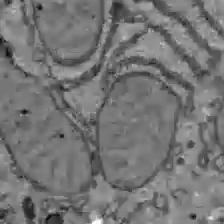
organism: C57BL Mouse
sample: Liver